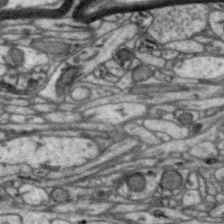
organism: Zebra finch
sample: Brain